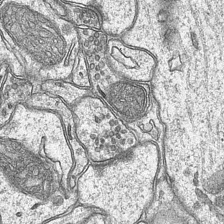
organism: Mouse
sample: CA1 Hippocampus